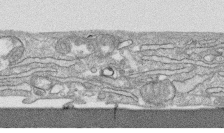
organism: Human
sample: CRL-1474